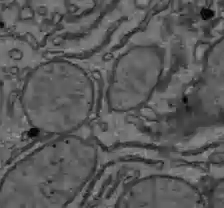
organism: C57BL Mouse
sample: Liver